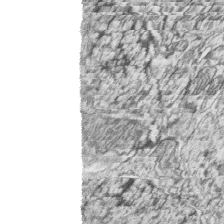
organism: Zebrafish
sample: synaptic ribbons in rod cells and cone cells